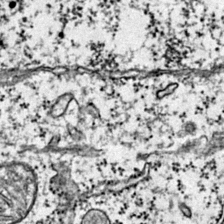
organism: Mouse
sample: Primary visual cortex